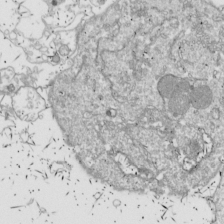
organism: Drosophila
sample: Cell division; meiosis; drosophila spermatocytes